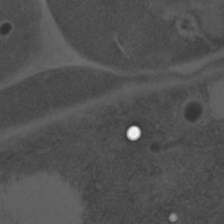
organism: C. elegans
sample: C. elegans embryo